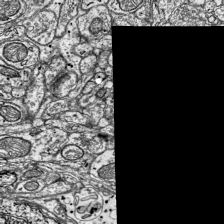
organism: Mouse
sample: Visual Cortex